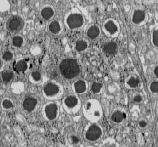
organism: C57BL Mouse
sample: Pancreatic islet